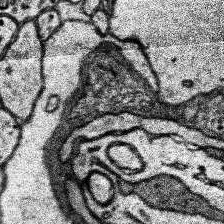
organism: Human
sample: Temporal Lobe